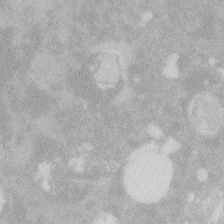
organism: Zebrafish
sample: Macrophage